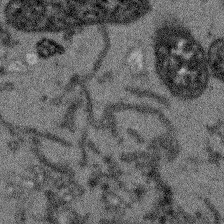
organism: Arabidopsis thaliana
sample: Root tip